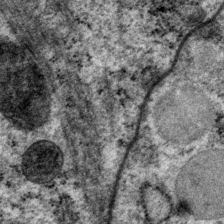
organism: P. pacificus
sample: Pharynx